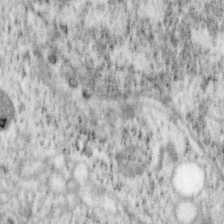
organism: Mouse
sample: OT-I killer T cells with ID8 ovarian cancer cells